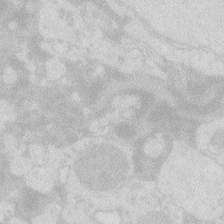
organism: Zebrafish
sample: Macrophage